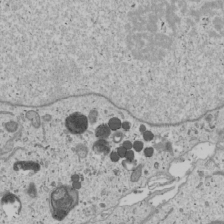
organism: Human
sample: Mitochondria in U2OS cells